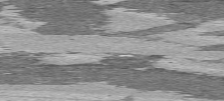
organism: C57BL Mouse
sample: Heart